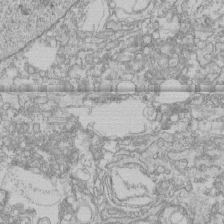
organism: Human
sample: CRL-1474